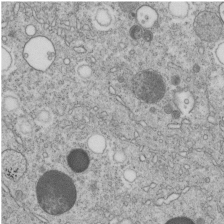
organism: C. elegans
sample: C. elegans embryo early stage